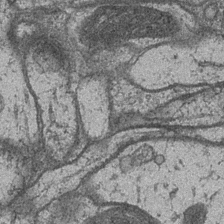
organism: Drosophila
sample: Optic medulla